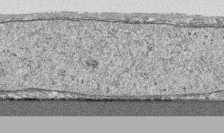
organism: Human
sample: CRL-1474